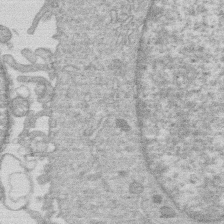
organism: Human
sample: Macrophage cells